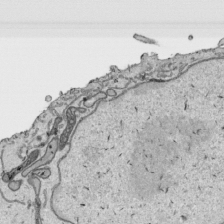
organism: Human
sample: Mitochondria in HCT116 cells